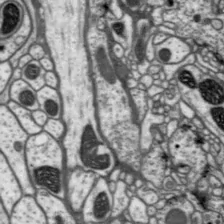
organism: Drosophila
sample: Protocerebral bridge